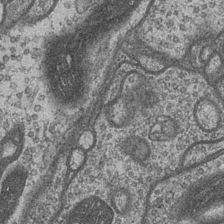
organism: Drosophila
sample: Optic medulla